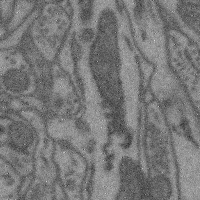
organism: Mouse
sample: Cerebral cortex